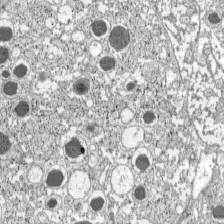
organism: C57BL Mouse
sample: Pancreatic islet